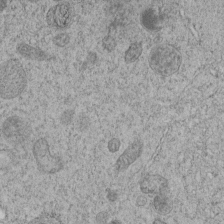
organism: C. elegans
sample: C. elegans embryo early stage